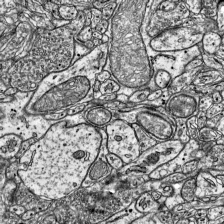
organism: Mouse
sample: Visual Cortex